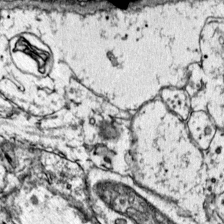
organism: Mouse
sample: Primary visual cortex